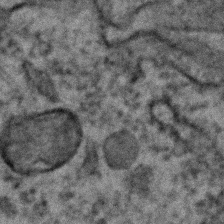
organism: C. elegans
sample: C. elegans embryo